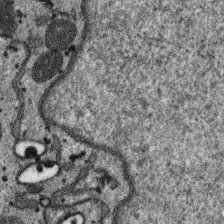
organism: Human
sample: Lung epithelial cells infected with SARS-CoV-2